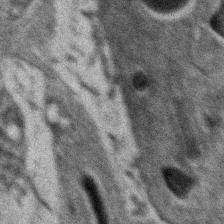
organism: Zebrafish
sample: Zebrafish embryo